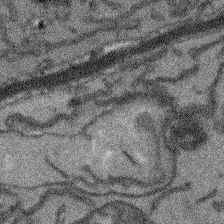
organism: Arabidopsis thaliana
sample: Root tip